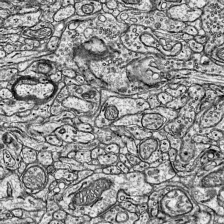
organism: Mouse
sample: Visual Cortex